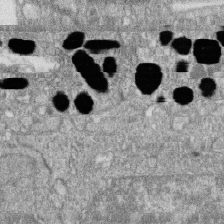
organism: Zebrafish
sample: Cilia; retinal pigment epithelium